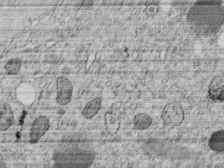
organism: C. elegans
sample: C. elegans embryo early stage